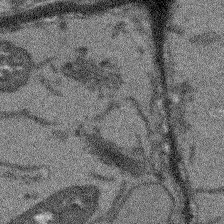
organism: Arabidopsis thaliana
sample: Root tip